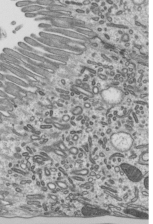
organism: Mouse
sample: Mouse epididymis efferent ductule cilia